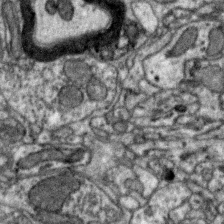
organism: Zebra finch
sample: Brain